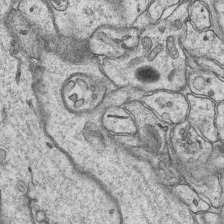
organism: Mouse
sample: CA1 Hippocampus